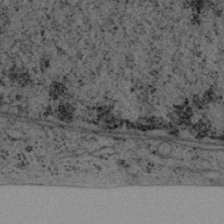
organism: Human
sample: HeLa cells